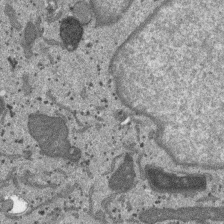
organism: Human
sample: Lung epithelial cells infected with SARS-CoV-2